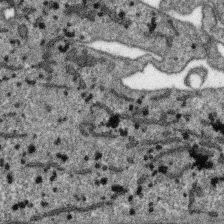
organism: Human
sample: Lung epithelial cells infected with SARS-CoV-2